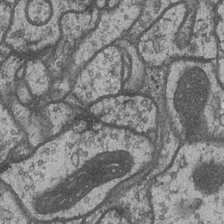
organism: Drosophila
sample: Optic medulla